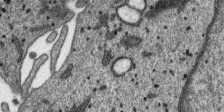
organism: Human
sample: Lung epithelial cells infected with SARS-CoV-2